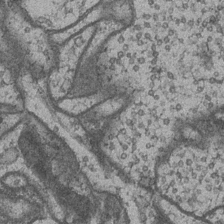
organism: Drosophila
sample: Optic medulla